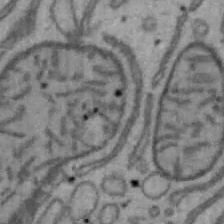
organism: Mouse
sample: Liver